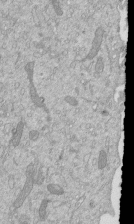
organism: Mouse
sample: ED-1 cell nuclei; centrioles